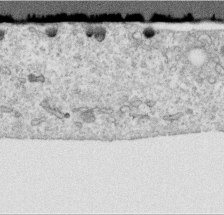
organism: Human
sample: Centriole in RPE cells